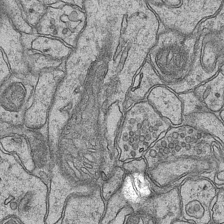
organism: Mouse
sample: CA1 Hippocampus